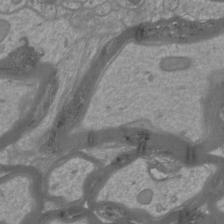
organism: Mouse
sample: Cortical neurons